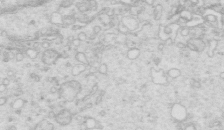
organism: Mouse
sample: Multiciliated cells